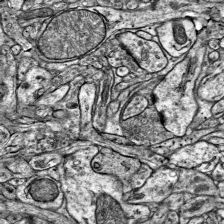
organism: Mouse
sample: Visual Cortex